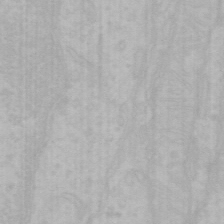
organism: Mouse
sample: Choroid plexus